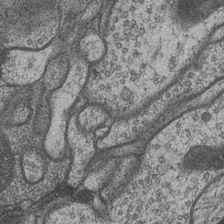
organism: Drosophila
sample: Optic medulla